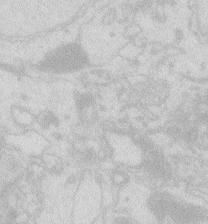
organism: Zebrafish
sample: Macrophage